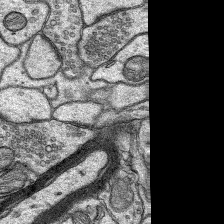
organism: Rat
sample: Hippocampus